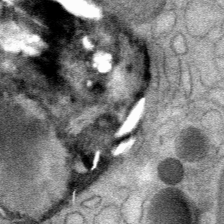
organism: Mouse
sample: Mouse Salivary gland